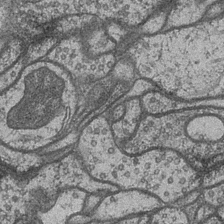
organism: Drosophila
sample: Optic medulla